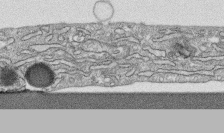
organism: Human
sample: CRL-1474